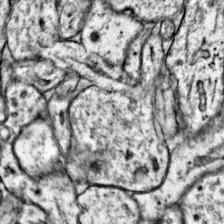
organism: Mouse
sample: Primary visual cortex